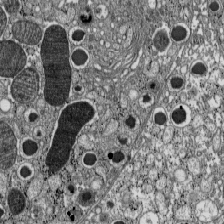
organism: C57BL Mouse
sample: Pancreatic islet